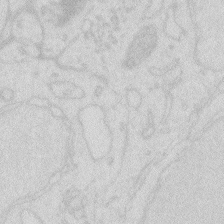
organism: Zebrafish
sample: Macrophage